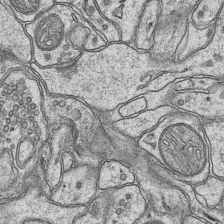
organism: Mouse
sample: CA1 Hippocampus